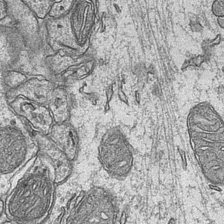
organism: Mouse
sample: CA1 Hippocampus